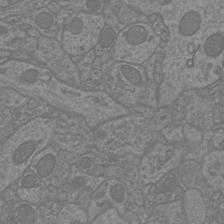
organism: Mouse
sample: Cortical neurons